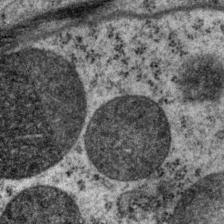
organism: P. pacificus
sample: Pharynx